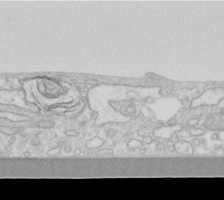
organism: Human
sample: Fibroblast cells